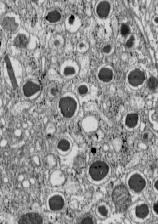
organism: C57BL Mouse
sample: Pancreatic islet